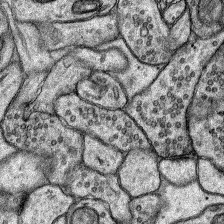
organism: Rat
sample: Hippocampus